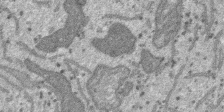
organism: Human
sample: Lung epithelial cells infected with SARS-CoV-2